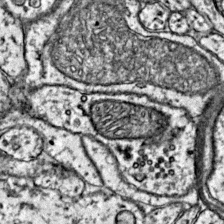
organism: Mouse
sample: Primary visual cortex